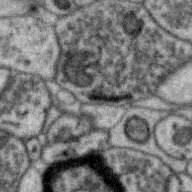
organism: Zebra finch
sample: Brain